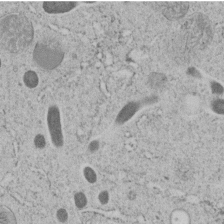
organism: C. elegans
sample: C. elegans embryo early stage